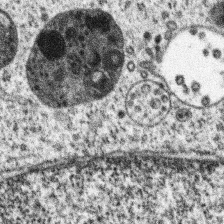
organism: Human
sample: HeLa cells